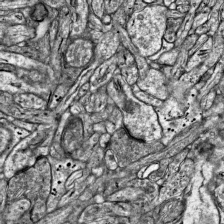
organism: Mouse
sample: Visual Cortex